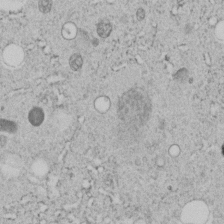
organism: C. elegans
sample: C. elegans embryo early stage